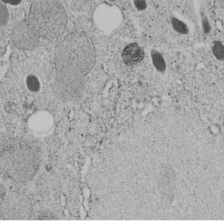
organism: C. elegans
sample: C. elegans embryo early stage